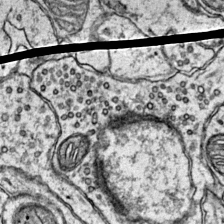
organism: Mouse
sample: Primary visual cortex